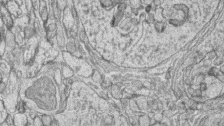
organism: Zebrafish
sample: synaptic ribbons in rod cells and cone cells